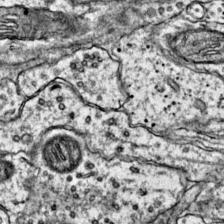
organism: Mouse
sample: Primary visual cortex